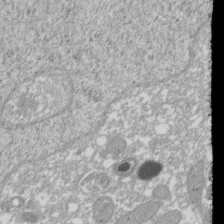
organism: Xenopus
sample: Cilia; centrioles in frog embryo cells